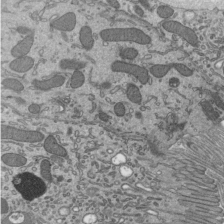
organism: Mouse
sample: Mouse epididymis efferent ductule cilia